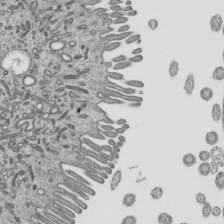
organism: Mouse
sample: Mouse epididymis efferent ductule cilia